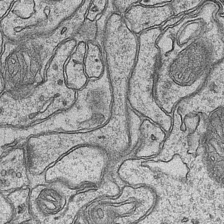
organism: Mouse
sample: CA1 Hippocampus